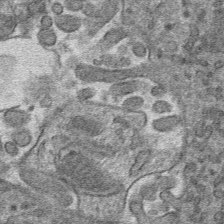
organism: Mouse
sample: Mouse hepatocytes